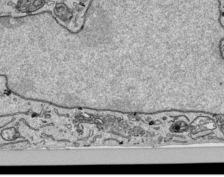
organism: Human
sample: Mitochondria in HCT116 cells